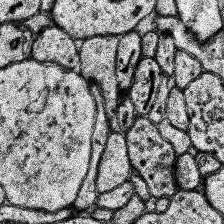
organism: Human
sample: Temporal Lobe